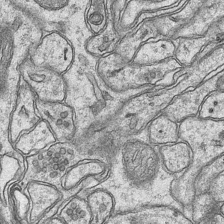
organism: Mouse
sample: CA1 Hippocampus